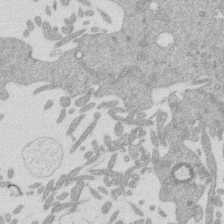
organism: Mouse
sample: Dividing mouse embryo 1 cell stage